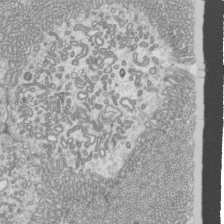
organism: Mouse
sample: Cilia; mouse epididymis